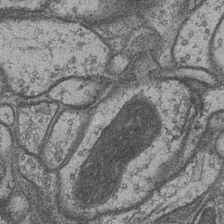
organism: Drosophila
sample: Optic medulla